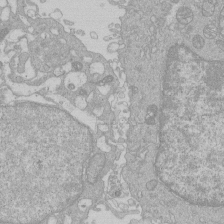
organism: Human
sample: Macrophage cells